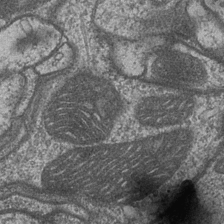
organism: Drosophila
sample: Optic medulla